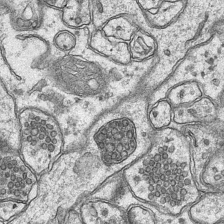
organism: Mouse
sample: CA1 Hippocampus